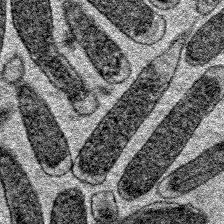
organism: E. coli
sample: E. Coli Bacteria